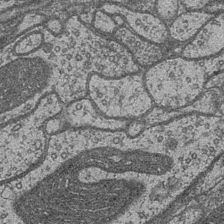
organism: Drosophila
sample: Optic medulla